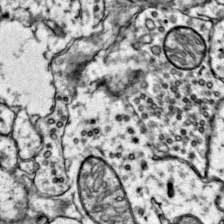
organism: Mouse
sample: Primary visual cortex